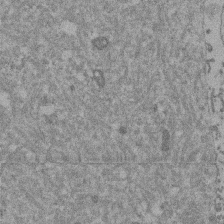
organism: Mouse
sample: Dividing mouse embryo 1 cell stage